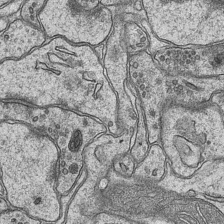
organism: Mouse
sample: CA1 Hippocampus